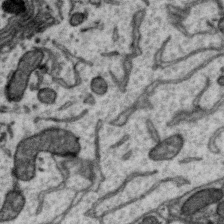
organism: Zebra finch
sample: Brain